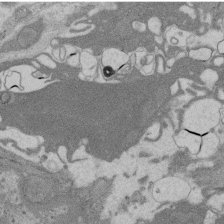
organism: Rat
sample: Salivary granule